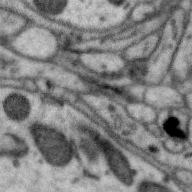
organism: Zebra finch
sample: Brain